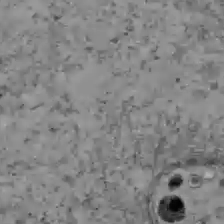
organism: C57BL Mouse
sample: Liver